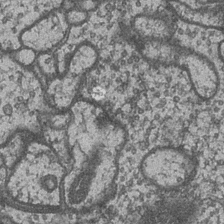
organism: Drosophila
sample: Optic medulla